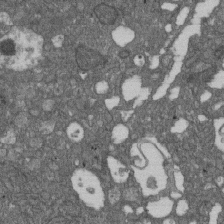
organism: Drosophila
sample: Nephrocyte